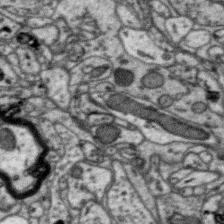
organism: Zebra finch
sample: Brain